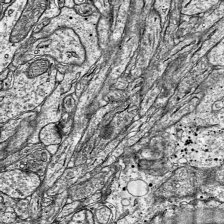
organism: Mouse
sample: Visual Cortex